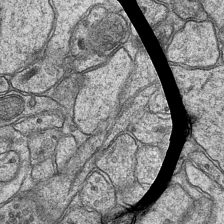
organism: Mouse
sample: CA1 Hippocampus